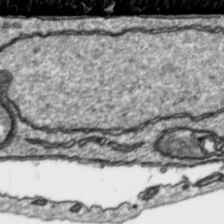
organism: Toxoplasma gondii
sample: Parasites in a vacuole inside a host cell